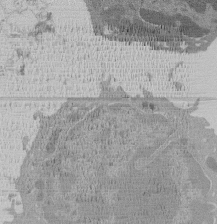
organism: Mouse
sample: Activated Pmel transgenic CD8+ T Cells